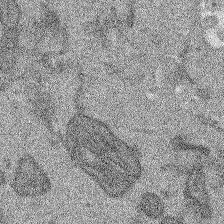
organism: Human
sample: HeLa cells